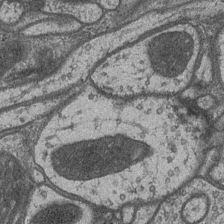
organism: Drosophila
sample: Optic medulla